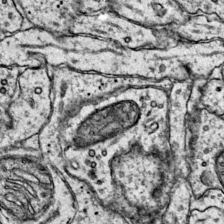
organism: Mouse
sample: Primary visual cortex